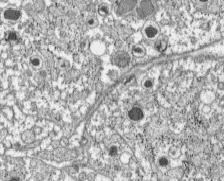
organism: C57BL Mouse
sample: Pancreatic islet